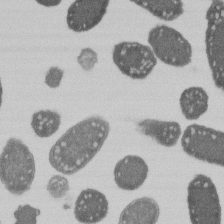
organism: E. coli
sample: Bacterial nucleoid